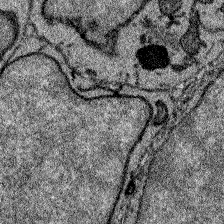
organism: Zebrafish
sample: Larval olfactory bulb